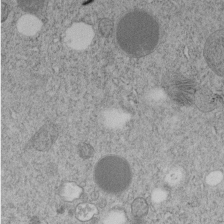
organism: C. elegans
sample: C. elegans embryo early stage